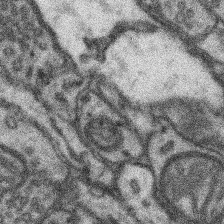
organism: Mouse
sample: Somatosensory cortex neuropil